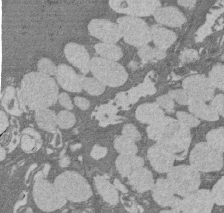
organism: Rat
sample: Salivary granule